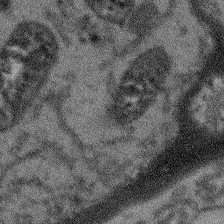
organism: Arabidopsis thaliana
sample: Root tip